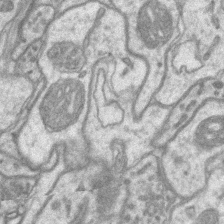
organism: Mouse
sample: CA1 Hippocampus